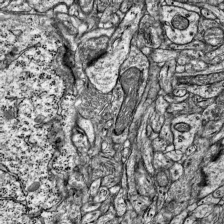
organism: Mouse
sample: Visual Cortex